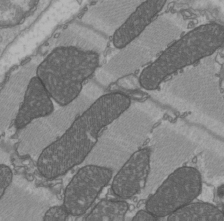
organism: C57BL Mouse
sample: Heart